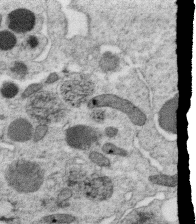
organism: C. elegans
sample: C. elegans oocyte; sperm cells